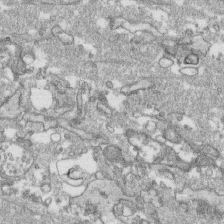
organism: Human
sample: CRL-1474